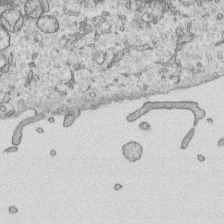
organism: Human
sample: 1205lu cells